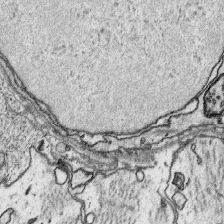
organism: Platynereis dumerilii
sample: Parapodia